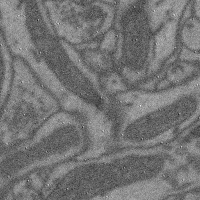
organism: Mouse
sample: Cerebral cortex